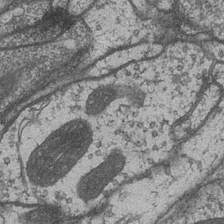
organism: Drosophila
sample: Optic medulla